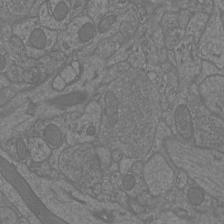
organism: Mouse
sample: Cortical neurons